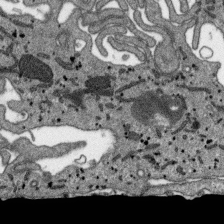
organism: Human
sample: Lung epithelial cells, uninfected (mock) control